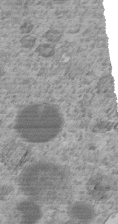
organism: C. elegans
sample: C. elegans embryo early stage